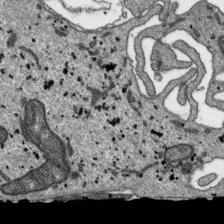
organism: Human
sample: Lung epithelial cells, uninfected (mock) control